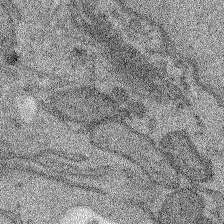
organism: Human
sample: HeLa cells